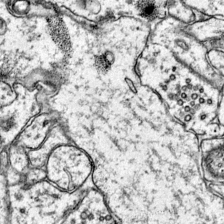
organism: Mouse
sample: Primary visual cortex